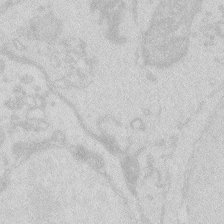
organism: Zebrafish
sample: Macrophage